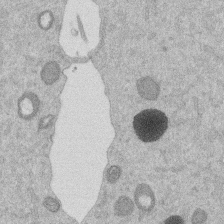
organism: Mouse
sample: Dividing mouse embryo 1 cell stage